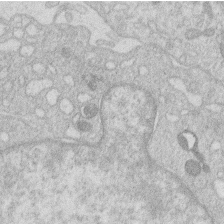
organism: Human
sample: Macrophage cells